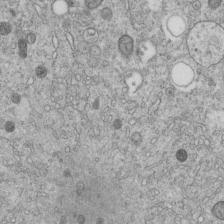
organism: C. elegans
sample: C. elegans embryo early stage